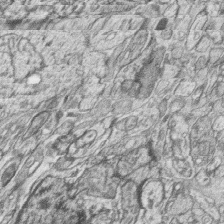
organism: Zebrafish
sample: synaptic ribbons in rod cells and cone cells